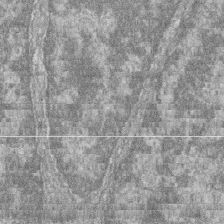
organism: Zebrafish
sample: Cilia; retinal pigment epithelium